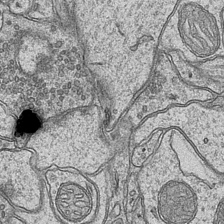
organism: Mouse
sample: CA1 Hippocampus